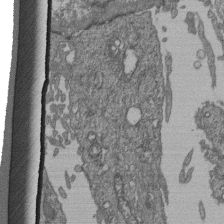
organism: Human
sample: Retinal organoid Rod and Cone cells